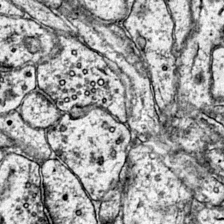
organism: Mouse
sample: Primary visual cortex